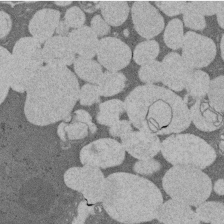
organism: Rat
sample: Salivary granule